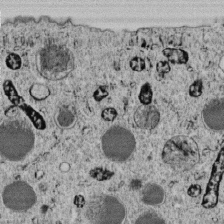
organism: C. elegans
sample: C. elegans embryo early stage